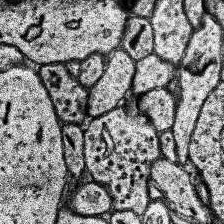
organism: Human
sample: Temporal Lobe